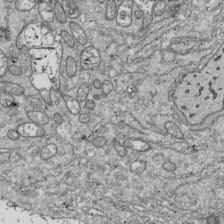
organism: Drosophila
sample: Cell division; meiosis; drosophila spermatocytes